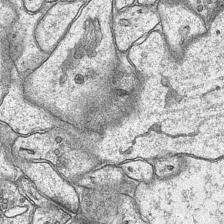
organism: Mouse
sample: CA1 Hippocampus